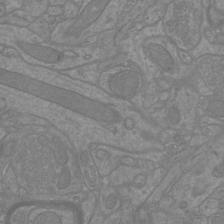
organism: Mouse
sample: Cortical neurons